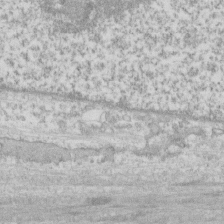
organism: Human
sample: CRL-1474